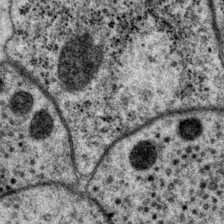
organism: P. pacificus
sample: Pharynx